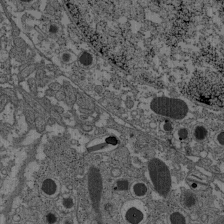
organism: C57BL Mouse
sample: Pancreatic islet